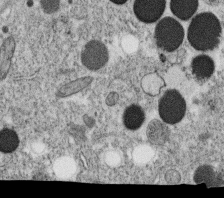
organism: C. elegans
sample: C. elegans oocyte; sperm cells